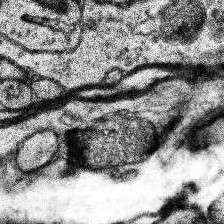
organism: Human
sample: Temporal Lobe